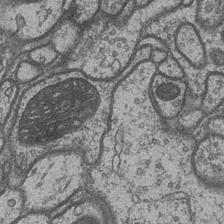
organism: Drosophila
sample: Optic medulla